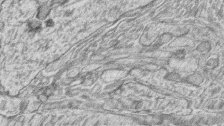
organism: Zebrafish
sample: synaptic ribbons in rod cells and cone cells